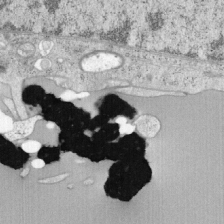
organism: Human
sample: HeLa cells